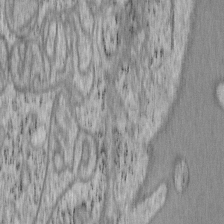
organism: Human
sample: HeLa cells